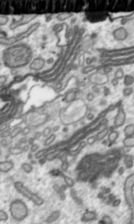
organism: Toxoplasma gondii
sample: Parasites in a vacuole inside a host cell